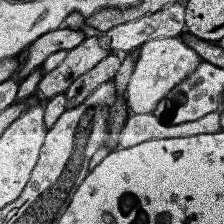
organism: Human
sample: Temporal Lobe